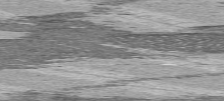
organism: C57BL Mouse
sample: Heart